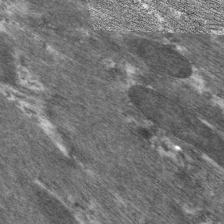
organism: C. elegans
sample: Pharynx